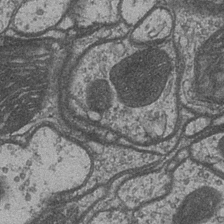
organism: Drosophila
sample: Optic medulla